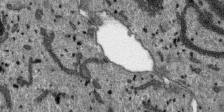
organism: Human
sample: Lung epithelial cells, uninfected (mock) control